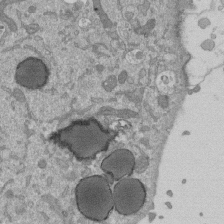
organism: Mouse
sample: ED-1 cell nuclei; centrioles